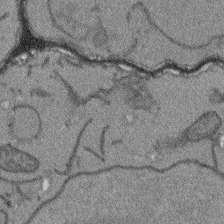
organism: Arabidopsis thaliana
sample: Root tip